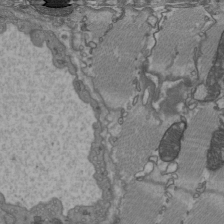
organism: C57BL Mouse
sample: Heart